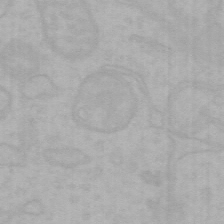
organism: Mouse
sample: Choroid plexus